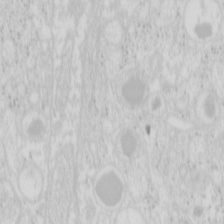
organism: Mouse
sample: Pancreas